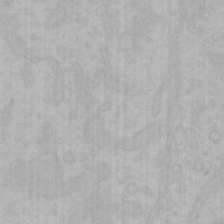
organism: Mouse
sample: Choroid plexus